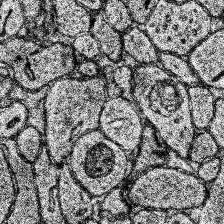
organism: Human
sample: Temporal Lobe